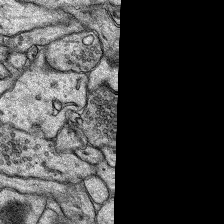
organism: Rat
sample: Hippocampus